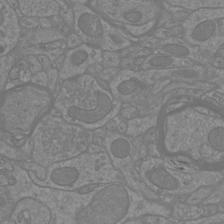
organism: Mouse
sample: Cortical neurons